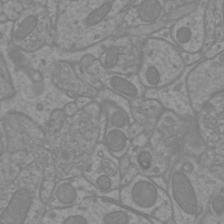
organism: Mouse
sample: Cortical neurons